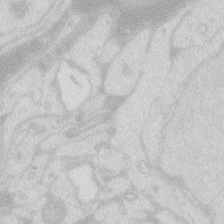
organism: Zebrafish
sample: Macrophage